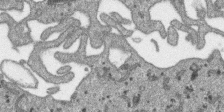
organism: Human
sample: Lung epithelial cells infected with SARS-CoV-2